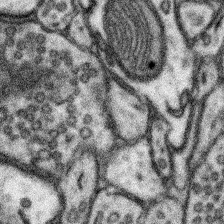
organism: Mouse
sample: Somatosensory cortex neuropil